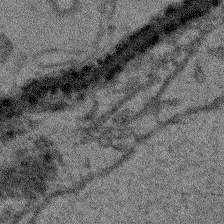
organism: Arabidopsis thaliana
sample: Root tip